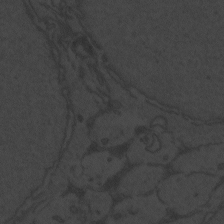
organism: Zebrafish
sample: Macrophage infected with Toxoplasma gondii